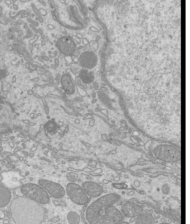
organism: Mouse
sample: Cilia; mouse epididymis